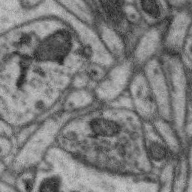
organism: Zebra finch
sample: Brain